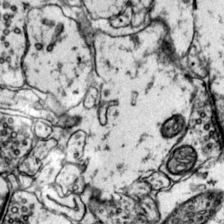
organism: Mouse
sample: Primary visual cortex